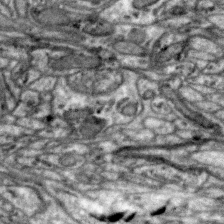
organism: Zebra finch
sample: Brain